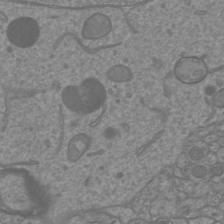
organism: Mouse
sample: Cortical neurons